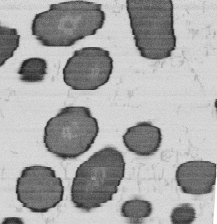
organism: B. subtilis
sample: Bacterial spore